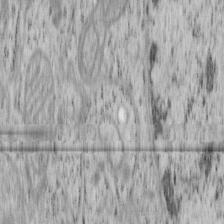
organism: Human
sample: HeLa cells